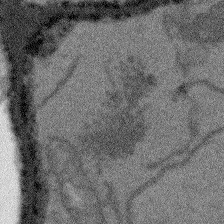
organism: Arabidopsis thaliana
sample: Root tip